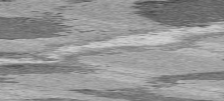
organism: C57BL Mouse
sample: Heart